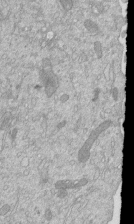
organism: Mouse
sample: ED-1 cell nuclei; centrioles